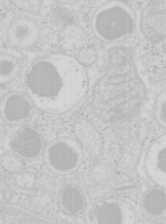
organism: Mouse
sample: Pancreas